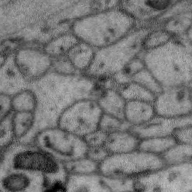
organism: Zebra finch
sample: Brain